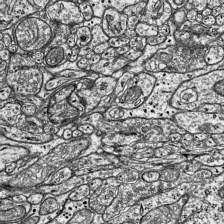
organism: Mouse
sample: Visual Cortex